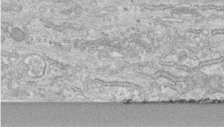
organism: Human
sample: Centriole in fibroblast cells